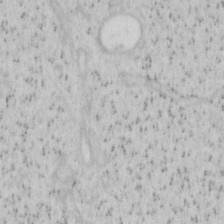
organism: Human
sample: HeLa cells